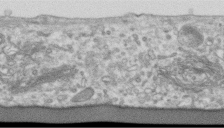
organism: Human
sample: Centriole in RPE cells